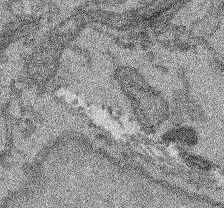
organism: Human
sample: HeLa cells